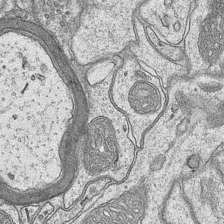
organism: Mouse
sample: CA1 Hippocampus